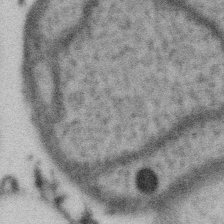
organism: Gemmata obscuriglobus